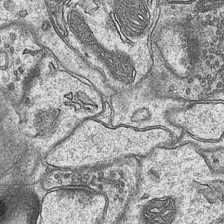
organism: Mouse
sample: CA1 Hippocampus